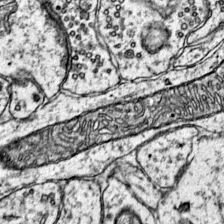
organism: Mouse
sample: Primary visual cortex